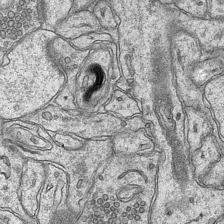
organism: Mouse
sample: CA1 Hippocampus